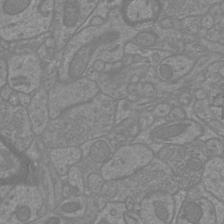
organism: Mouse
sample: Cortical neurons